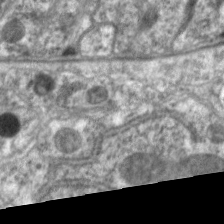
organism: C. elegans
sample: Pharynx